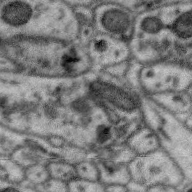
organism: Zebra finch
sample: Brain